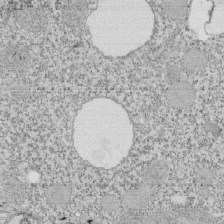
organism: Tetrahymena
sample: Cilia in tetrahymena